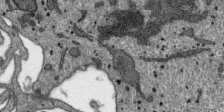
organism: Human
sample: Lung epithelial cells, uninfected (mock) control